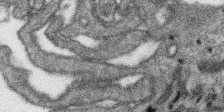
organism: Human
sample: Lung epithelial cells infected with SARS-CoV-2